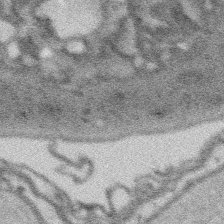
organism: Platynereis dumerilii